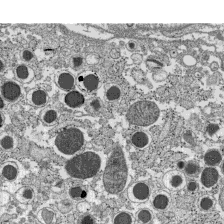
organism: C57BL Mouse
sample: Pancreatic islet